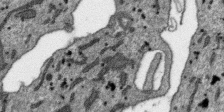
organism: Human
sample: Lung epithelial cells, uninfected (mock) control